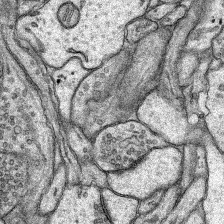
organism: Rat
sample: Hippocampus